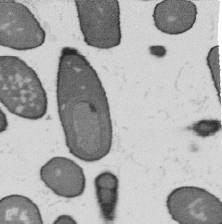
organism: B. subtilis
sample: Bacterial spore